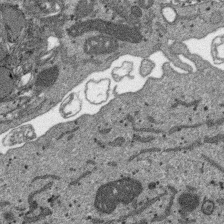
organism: Human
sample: Lung epithelial cells infected with SARS-CoV-2